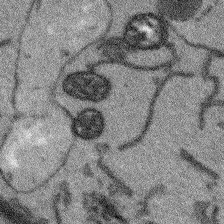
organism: Arabidopsis thaliana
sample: Root tip